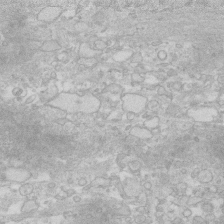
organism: Human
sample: Fibroblast cells